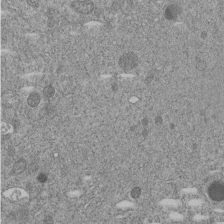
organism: C. elegans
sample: C. elegans embryo early stage